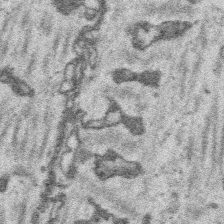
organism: Platynereis dumerilii